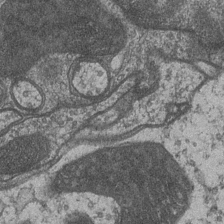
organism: Drosophila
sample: Optic medulla